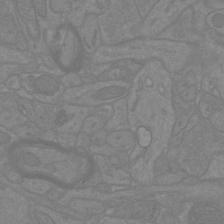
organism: Mouse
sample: Cortical neurons